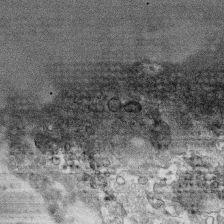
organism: Human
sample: CRL-1474